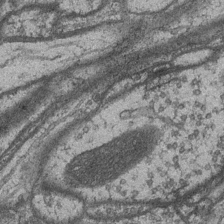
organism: Drosophila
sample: Optic medulla